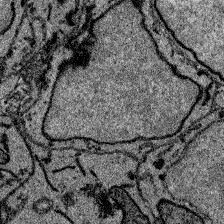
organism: Zebrafish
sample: Larval olfactory bulb